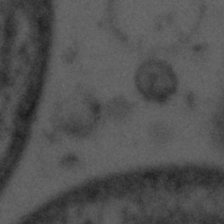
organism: Tuwongella immobilis